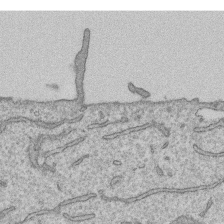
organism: Human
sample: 1205lu cells